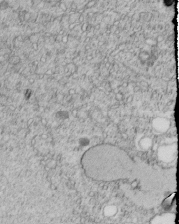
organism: C. elegans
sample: C. elegans embryo early stage